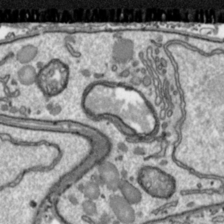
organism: Toxoplasma gondii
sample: Parasites in a vacuole inside a host cell